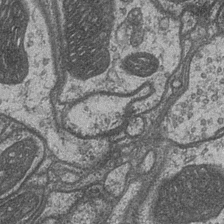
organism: Drosophila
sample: Optic medulla